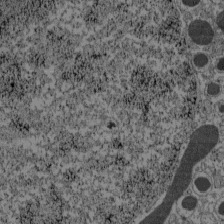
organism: C57BL Mouse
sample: Pancreatic islet